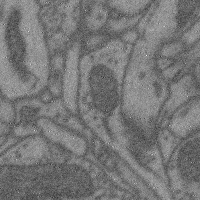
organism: Mouse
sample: Cerebral cortex